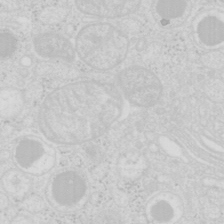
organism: Mouse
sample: Pancreas